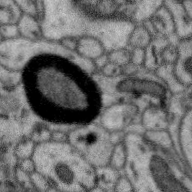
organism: Zebra finch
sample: Brain